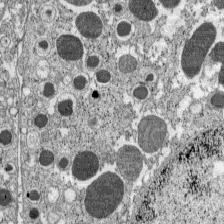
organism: C57BL Mouse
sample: Pancreatic islet